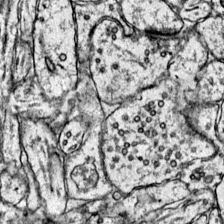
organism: Mouse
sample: Primary visual cortex